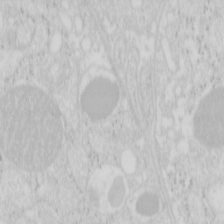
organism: Mouse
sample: Pancreas